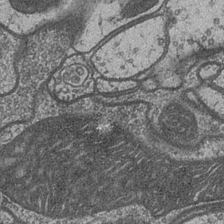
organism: Drosophila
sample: Optic medulla